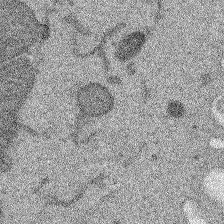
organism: Human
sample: HeLa cells